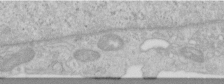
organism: Human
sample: Centriole in RPE cells